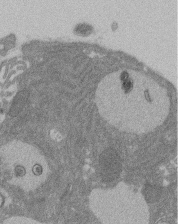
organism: Rat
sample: Salivary granule